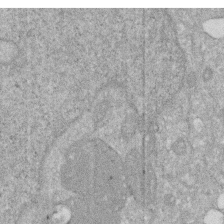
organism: Human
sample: HIV infected U937 cells